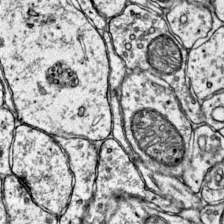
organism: Mouse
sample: Primary visual cortex